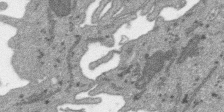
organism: Human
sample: Lung epithelial cells infected with SARS-CoV-2